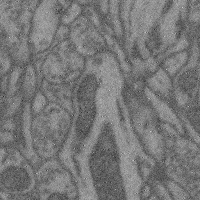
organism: Mouse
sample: Cerebral cortex